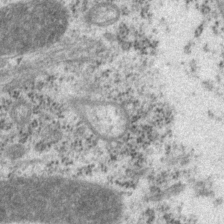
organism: P. pacificus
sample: Pharynx